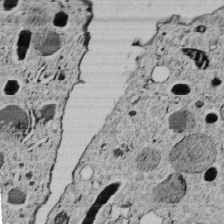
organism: C. elegans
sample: C. elegans embryo early stage